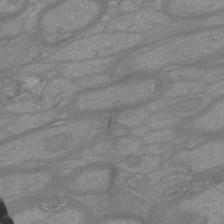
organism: Mouse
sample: Cortical neurons